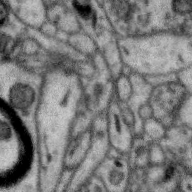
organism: Zebra finch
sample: Brain